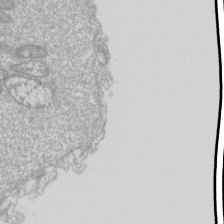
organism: Drosophila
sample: Cell division; meiosis; drosophila spermatocytes